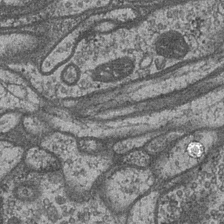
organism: Drosophila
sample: Optic medulla